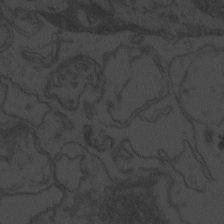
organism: Zebrafish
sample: Macrophage infected with Toxoplasma gondii